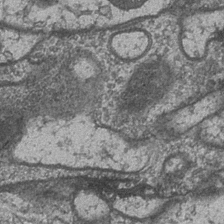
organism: Drosophila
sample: Optic medulla